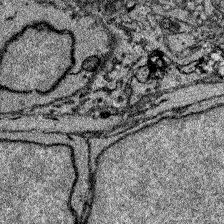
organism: Zebrafish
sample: Larval olfactory bulb